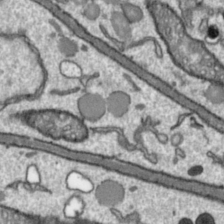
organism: Toxoplasma gondii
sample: Parasites in a vacuole inside a host cell